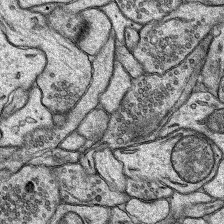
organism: Rat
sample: Hippocampus